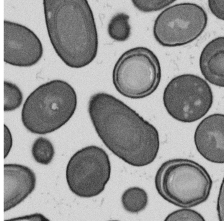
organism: B. subtilis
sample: Bacterial spore